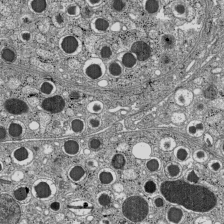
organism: C57BL Mouse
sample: Pancreatic islet